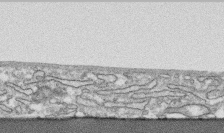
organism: Human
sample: CRL-1474